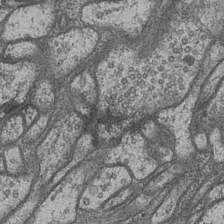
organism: Drosophila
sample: Optic medulla